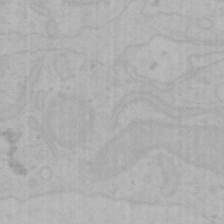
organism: Mouse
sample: Choroid plexus